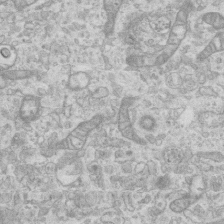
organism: Mouse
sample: Centriole in ependymal cells